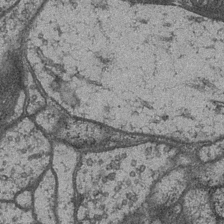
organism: Drosophila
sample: Optic medulla